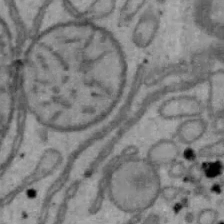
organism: Mouse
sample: Liver